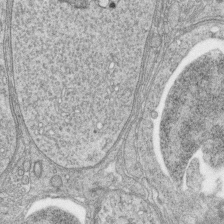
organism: Zebrafish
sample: synaptic ribbons in rod cells and cone cells